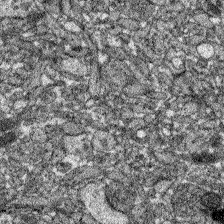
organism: Zebrafish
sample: Larval olfactory bulb